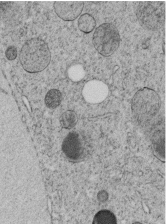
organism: C. elegans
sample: C. elegans embryo early stage